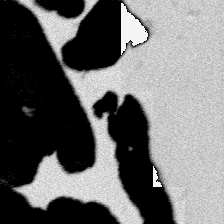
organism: Platynereis dumerilii